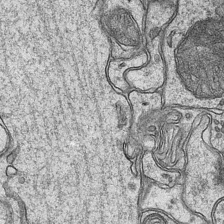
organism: Mouse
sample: CA1 Hippocampus